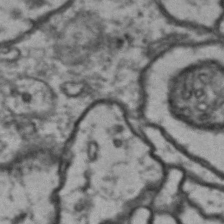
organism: Drosophila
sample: Brain